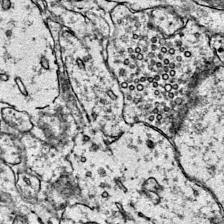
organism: Mouse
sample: Primary visual cortex